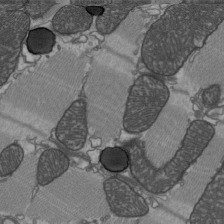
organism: C57BL Mouse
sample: Heart